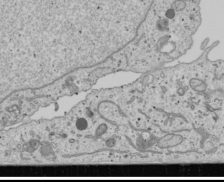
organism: Human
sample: Mitochondria in U2OS cells